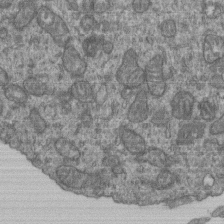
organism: Human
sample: Retinal organoid Rod and Cone cells